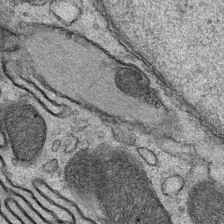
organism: Mouse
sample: Mouse Salivary gland